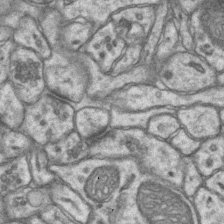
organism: Mouse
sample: CA1 Hippocampus